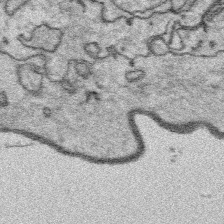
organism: Platynereis dumerilii